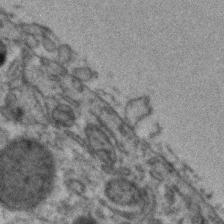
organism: Zebrafish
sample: Zebrafish embryo